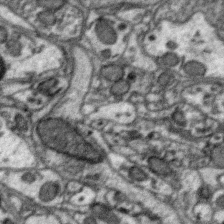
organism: Zebra finch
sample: Brain